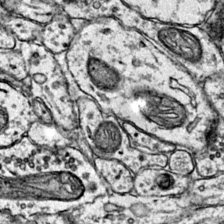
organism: Mouse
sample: Primary visual cortex